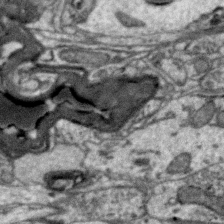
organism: Zebra finch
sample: Brain